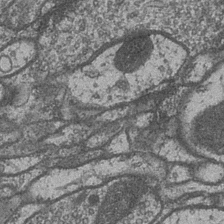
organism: Drosophila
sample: Optic medulla